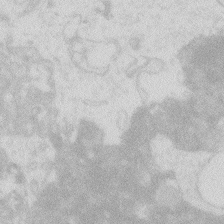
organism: Zebrafish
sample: Macrophage